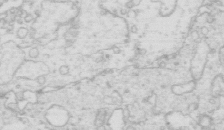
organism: Mouse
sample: Multiciliated cells